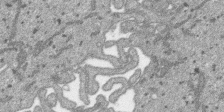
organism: Human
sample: Lung epithelial cells infected with SARS-CoV-2